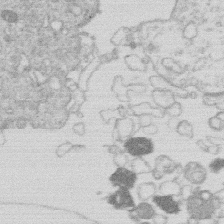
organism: Human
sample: Macrophage cells